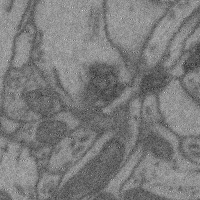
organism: Mouse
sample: Cerebral cortex